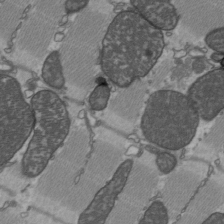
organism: C57BL Mouse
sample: Heart